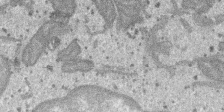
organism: Human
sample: Lung epithelial cells infected with SARS-CoV-2